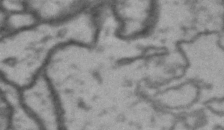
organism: Drosophila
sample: Brain